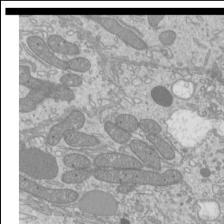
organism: Mouse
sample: Cilia; mouse epididymis